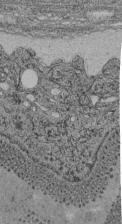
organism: C. elegans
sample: C. elegans pharynx